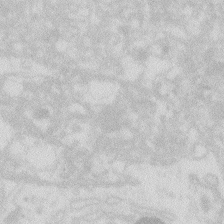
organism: Zebrafish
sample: Macrophage